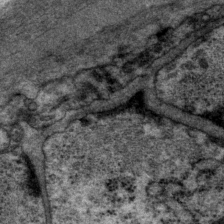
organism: P. pacificus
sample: Pharynx